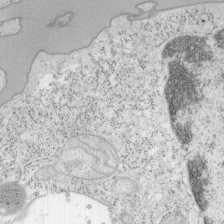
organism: Mouse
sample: OT-I killer T cells with ID8 ovarian cancer cells